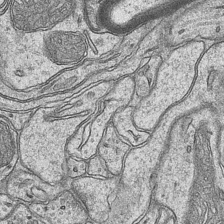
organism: Mouse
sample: CA1 Hippocampus